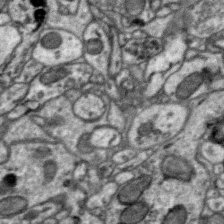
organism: Zebra finch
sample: Brain